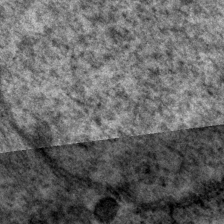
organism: P. pacificus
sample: Pharynx